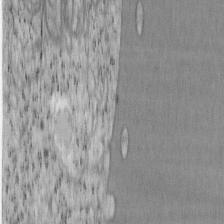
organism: Human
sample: HeLa cells